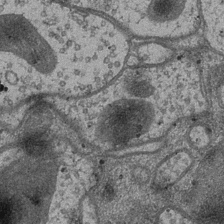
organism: Drosophila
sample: Optic medulla